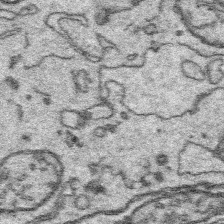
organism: Platynereis dumerilii